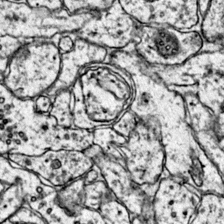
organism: Mouse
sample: Primary visual cortex